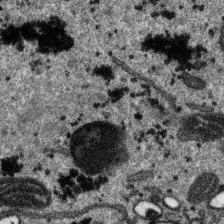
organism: Human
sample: Lung epithelial cells infected with SARS-CoV-2